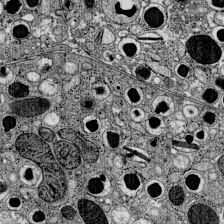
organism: C57BL Mouse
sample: Pancreatic islet